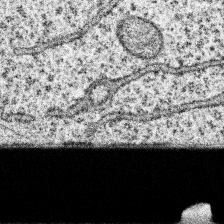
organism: Human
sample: HeLa cells